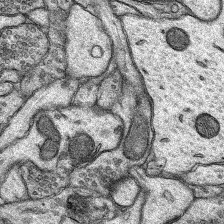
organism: Rat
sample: Hippocampus